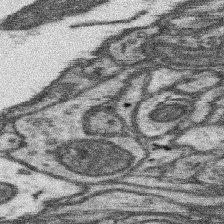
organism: Mouse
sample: Somatosensory cortex neuropil